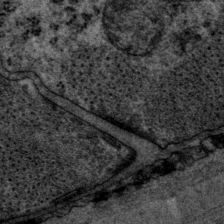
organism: P. pacificus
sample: Pharynx